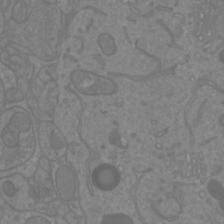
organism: Mouse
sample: Cortical neurons